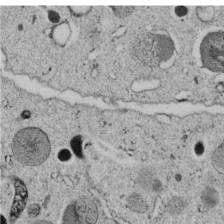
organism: C. elegans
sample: C. elegans embryo early stage